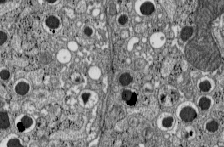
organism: C57BL Mouse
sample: Pancreatic islet